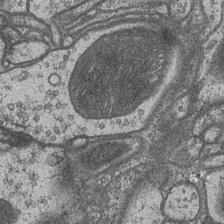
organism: Drosophila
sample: Optic medulla